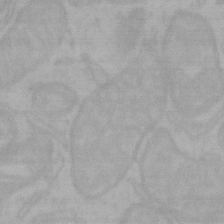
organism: Mouse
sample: Choroid plexus